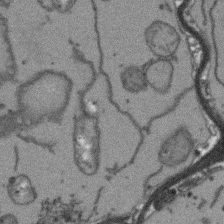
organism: Arabidopsis thaliana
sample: Root tip